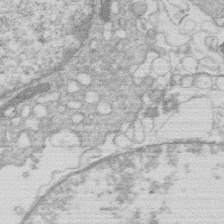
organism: Human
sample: Macrophage cells